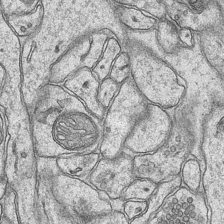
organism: Mouse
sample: CA1 Hippocampus